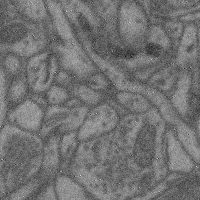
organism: Mouse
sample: Cerebral cortex